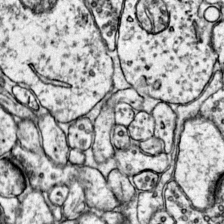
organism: Mouse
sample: Primary visual cortex